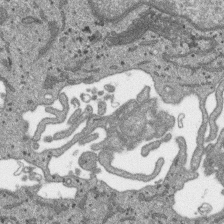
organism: Human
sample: Lung epithelial cells infected with SARS-CoV-2